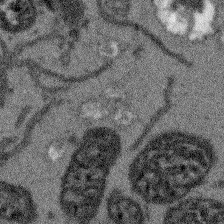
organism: Arabidopsis thaliana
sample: Root tip